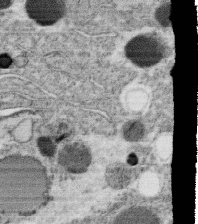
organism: C. elegans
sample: C. elegans oocyte; sperm cells